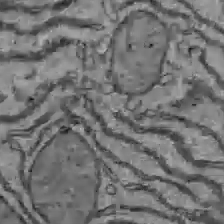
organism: C57BL Mouse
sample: Liver